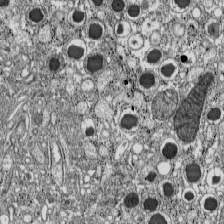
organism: C57BL Mouse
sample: Pancreatic islet